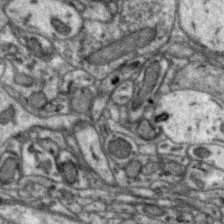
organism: Zebra finch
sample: Brain